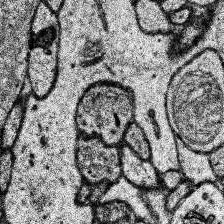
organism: Human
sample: Temporal Lobe